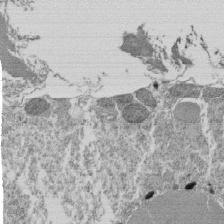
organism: Tetrahymena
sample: Cilia in tetrahymena